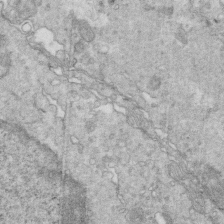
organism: Mouse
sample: Multiciliated cells